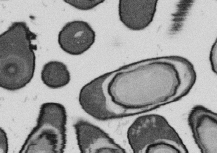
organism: B. subtilis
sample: Bacterial spore